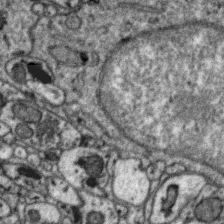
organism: Zebra finch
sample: Brain